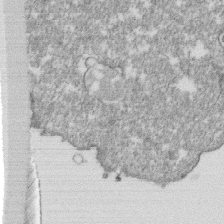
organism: African green monkey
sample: Vero E6 cells infected with SARS-CoV-2